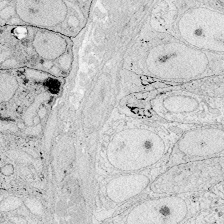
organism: Zebrafish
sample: Whole-Brain